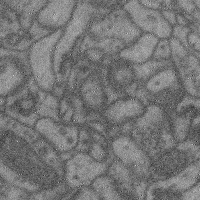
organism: Mouse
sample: Cerebral cortex